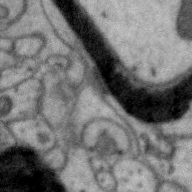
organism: Zebra finch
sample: Brain